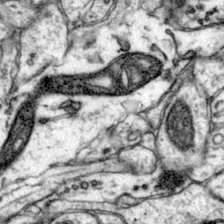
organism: Mouse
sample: Primary visual cortex